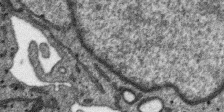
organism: Human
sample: Lung epithelial cells infected with SARS-CoV-2